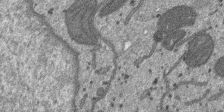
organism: Human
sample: Lung epithelial cells infected with SARS-CoV-2